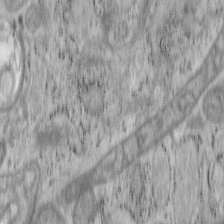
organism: Human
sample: HeLa cells